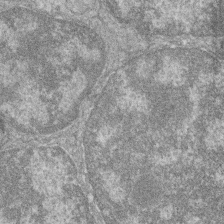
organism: Zebrafish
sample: Cilia; retinal pigment epithelium